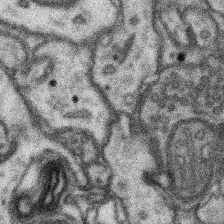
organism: Mouse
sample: Somatosensory cortex neuropil